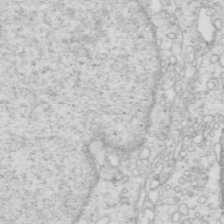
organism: Mouse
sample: Multiciliated cells